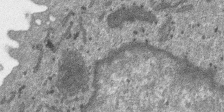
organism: Human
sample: Lung epithelial cells infected with SARS-CoV-2